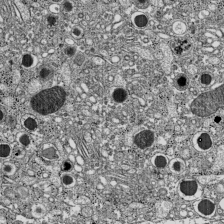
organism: C57BL Mouse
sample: Pancreatic islet